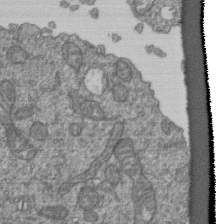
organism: Human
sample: Retinal organoid Rod and Cone cells